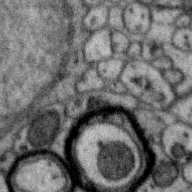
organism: Zebra finch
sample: Brain